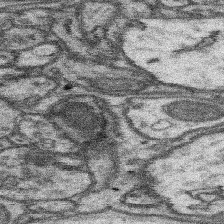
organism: Mouse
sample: Somatosensory cortex neuropil